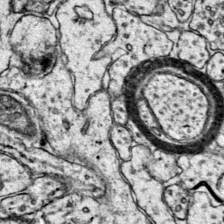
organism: Mouse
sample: Primary visual cortex